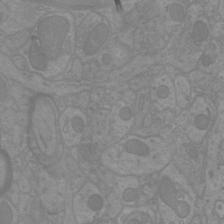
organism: Mouse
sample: Cortical neurons